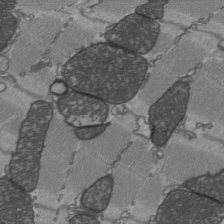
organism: C57BL Mouse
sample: Heart